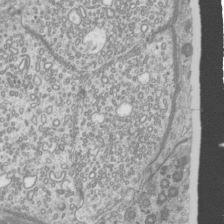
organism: Mouse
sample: Cilia; mouse epididymis